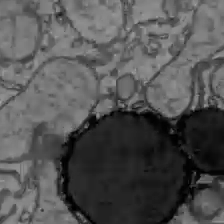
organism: C57BL Mouse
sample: Liver